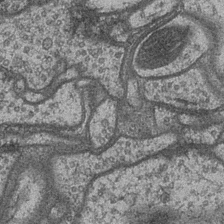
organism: Drosophila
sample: Optic medulla